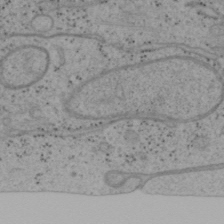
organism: Human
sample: HeLa cells